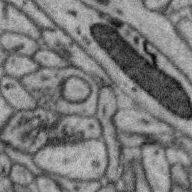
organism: Zebra finch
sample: Brain